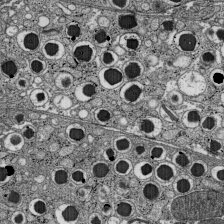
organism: C57BL Mouse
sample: Pancreatic islet